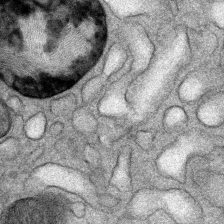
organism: Mouse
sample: Mouse Salivary gland